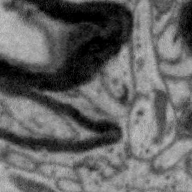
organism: Zebra finch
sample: Brain